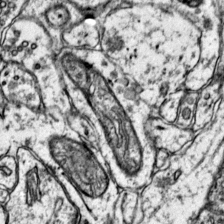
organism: Mouse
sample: Primary visual cortex